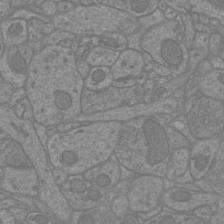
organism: Mouse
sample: Cortical neurons